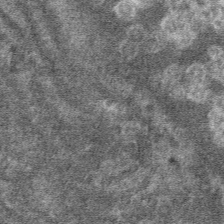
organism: Mouse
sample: Mouse hepatocytes